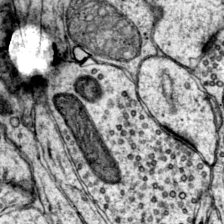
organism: Mouse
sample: Primary visual cortex